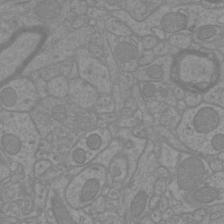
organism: Mouse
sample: Cortical neurons